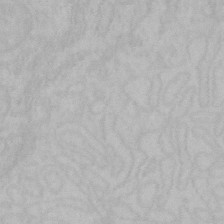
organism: Mouse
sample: Choroid plexus